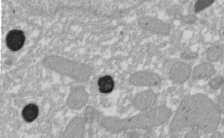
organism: Xenopus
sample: Cilia; centrioles in frog embryo cells